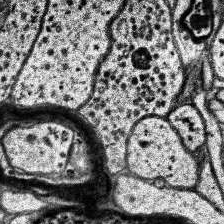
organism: Human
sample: Temporal Lobe